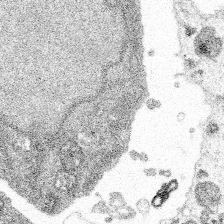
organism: Spongilla lacustris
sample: Multiple